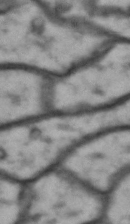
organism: Drosophila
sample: Brain